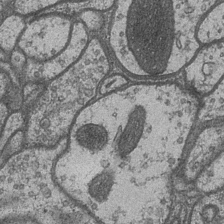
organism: Drosophila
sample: Optic medulla